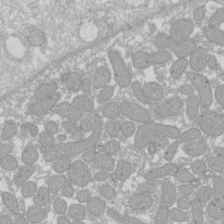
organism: Xenopus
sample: Cilia; centrioles in frog embryo cells